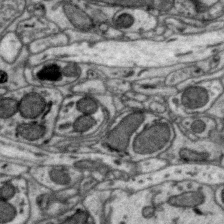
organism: Zebra finch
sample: Brain